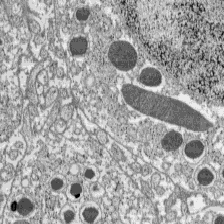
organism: C57BL Mouse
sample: Pancreatic islet